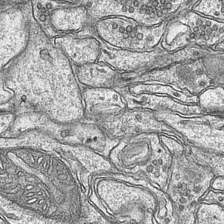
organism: Mouse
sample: CA1 Hippocampus